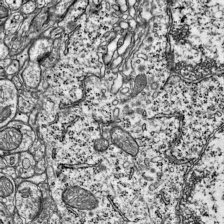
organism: Mouse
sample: Visual Cortex